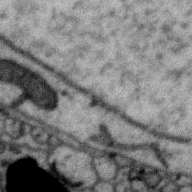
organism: Zebra finch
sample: Brain